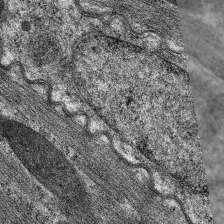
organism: C. elegans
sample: Pharynx